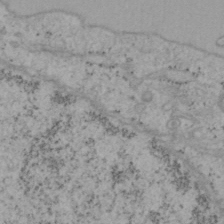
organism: Human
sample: HeLa cells